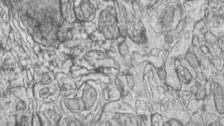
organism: Zebrafish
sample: synaptic ribbons in rod cells and cone cells